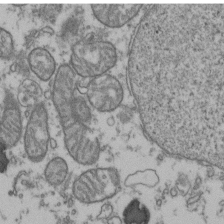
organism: Human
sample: Activated Jurkat CD4+ T cells